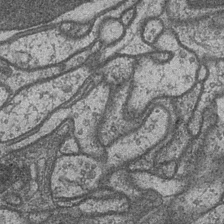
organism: Drosophila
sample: Optic medulla